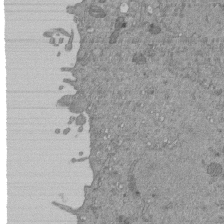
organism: Mouse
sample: ED-1 cell nuclei; centrioles